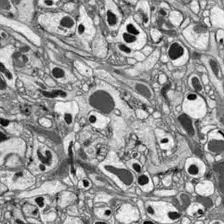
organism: Drosophila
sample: Optic lobe